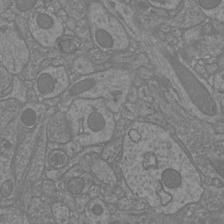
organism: Mouse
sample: Cortical neurons